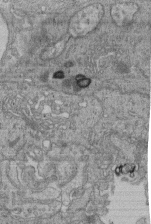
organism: Human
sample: Retinal organoid Rod and Cone cells